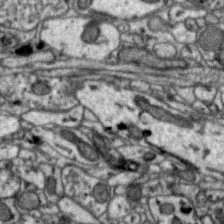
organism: Zebra finch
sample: Brain